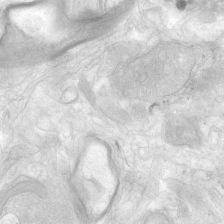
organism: Human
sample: Neocortex